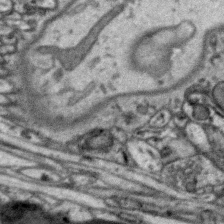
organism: Zebra finch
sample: Brain